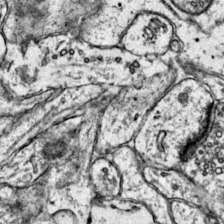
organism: Mouse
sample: Primary visual cortex